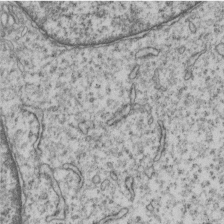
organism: Human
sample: MDA-MB-231 cells